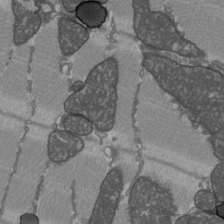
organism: C57BL Mouse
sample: Heart